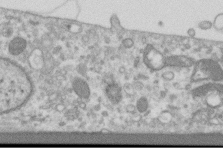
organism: Human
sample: Centriole in RPE cells